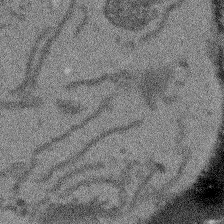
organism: Arabidopsis thaliana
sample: Root tip